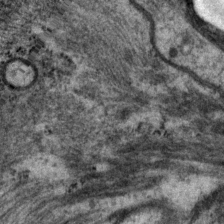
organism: P. pacificus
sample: Pharynx